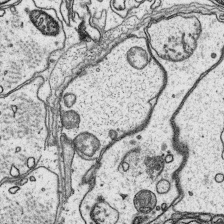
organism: Platynereis dumerilii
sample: Parapodia